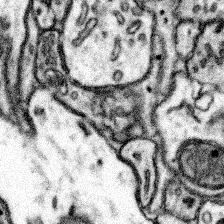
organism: Mouse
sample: Somatosensory cortex neuropil